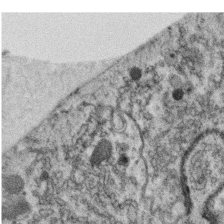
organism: C. elegans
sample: C. elegans oocyte; sperm cells